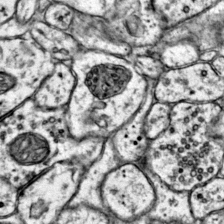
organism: Mouse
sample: Primary visual cortex